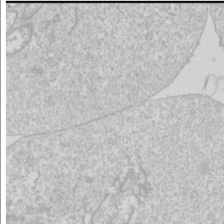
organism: Drosophila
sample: Cell division; meiosis; drosophila spermatocytes